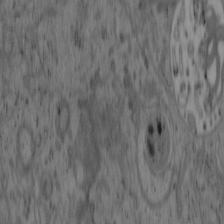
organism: Human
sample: HeLa cells